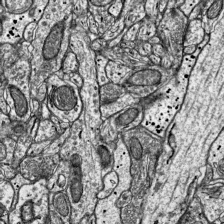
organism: Mouse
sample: Visual Cortex